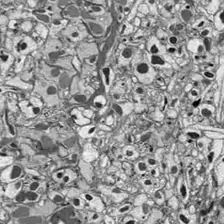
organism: Drosophila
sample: Optic lobe